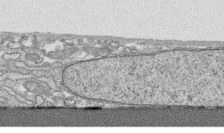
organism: Human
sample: CRL-1474